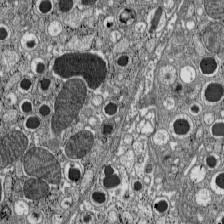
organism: C57BL Mouse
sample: Pancreatic islet